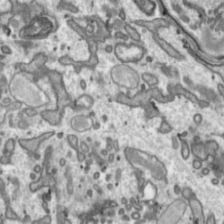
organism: Toxoplasma gondii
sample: Parasites in a vacuole inside a host cell